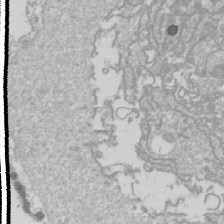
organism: Drosophila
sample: Cell division; meiosis; drosophila spermatocytes